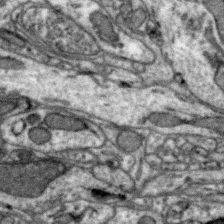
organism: Zebra finch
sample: Brain